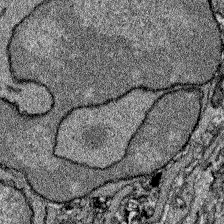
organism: Zebrafish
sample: Larval olfactory bulb